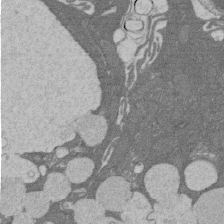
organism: Rat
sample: Salivary granule